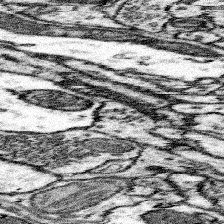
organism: Mouse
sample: Somatosensory cortex neuropil